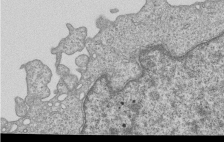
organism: Human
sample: MDA-MB-231 cells